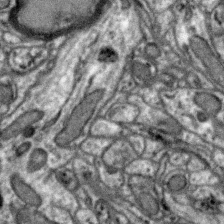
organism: Zebra finch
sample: Brain